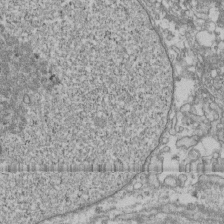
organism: Human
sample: Fibroblast cells